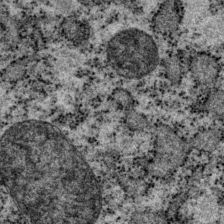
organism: P. pacificus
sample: Pharynx